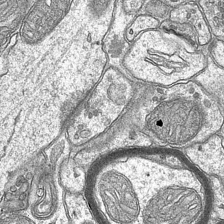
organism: Mouse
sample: CA1 Hippocampus